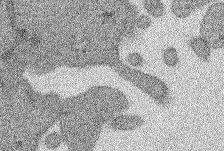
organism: Human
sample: HeLa cells